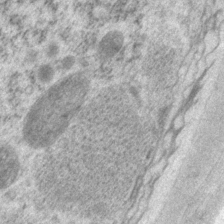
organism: P. pacificus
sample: Pharynx